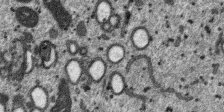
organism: Human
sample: Lung epithelial cells infected with SARS-CoV-2